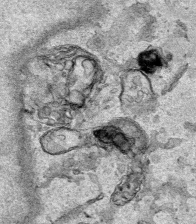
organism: Human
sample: Mitochondria in HCT116 cells